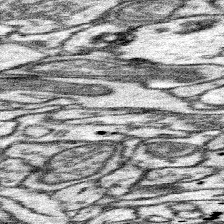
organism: Mouse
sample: Somatosensory cortex neuropil